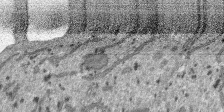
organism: Human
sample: Lung epithelial cells infected with SARS-CoV-2